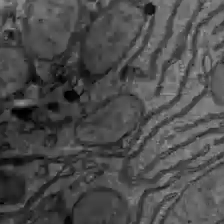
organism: C57BL Mouse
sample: Liver